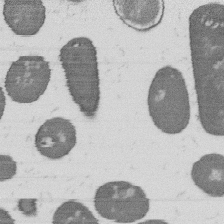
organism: B. subtilis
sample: Bacterial spore